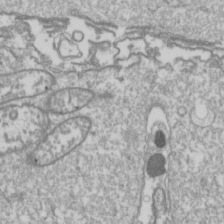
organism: Drosophila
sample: Cell division; meiosis; drosophila spermatocytes